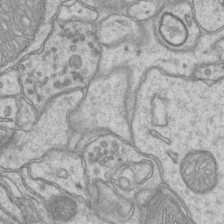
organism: Mouse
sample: CA1 Hippocampus